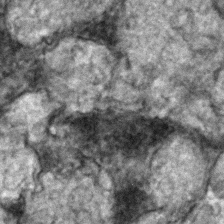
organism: Zebrafish